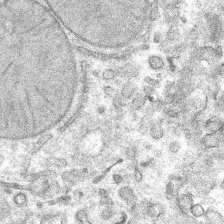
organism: Mouse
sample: Mouse hepatocytes